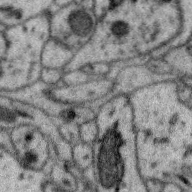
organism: Zebra finch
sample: Brain